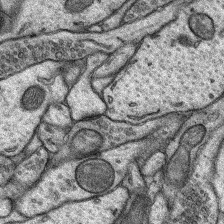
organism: Rat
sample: Hippocampus